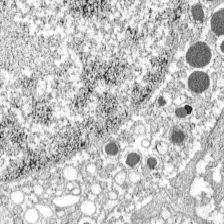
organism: C57BL Mouse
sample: Pancreatic islet